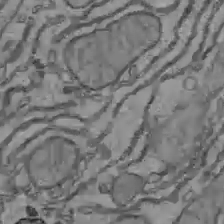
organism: C57BL Mouse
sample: Liver